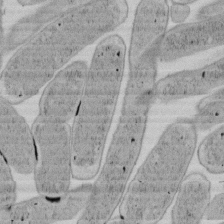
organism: E. coli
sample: Bacterial nucleoid